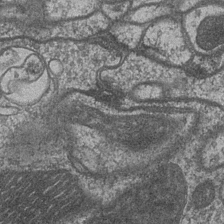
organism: Drosophila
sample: Optic medulla